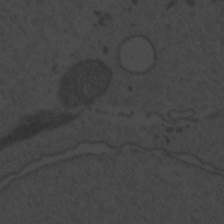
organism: Zebrafish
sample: Macrophage infected with Toxoplasma gondii